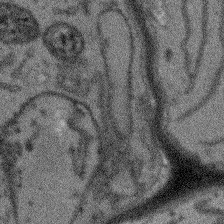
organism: Arabidopsis thaliana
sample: Root tip